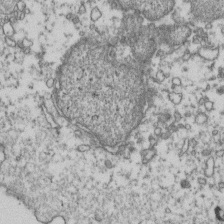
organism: Human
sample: Activated Jurkat CD4+ T cells